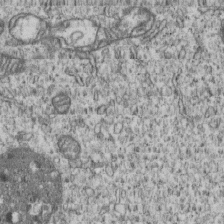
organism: Human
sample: MDA-MB-231 cells